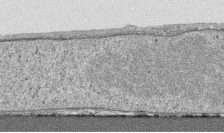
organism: Human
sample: CRL-1474